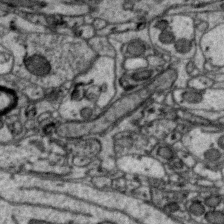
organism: Zebra finch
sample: Brain